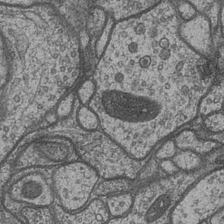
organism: Drosophila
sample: Optic medulla